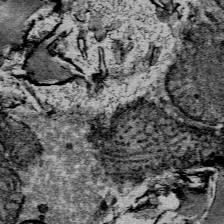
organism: Mouse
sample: Mouse Salivary gland